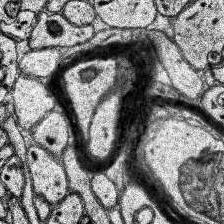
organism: Human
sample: Temporal Lobe